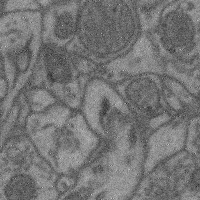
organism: Mouse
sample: Cerebral cortex